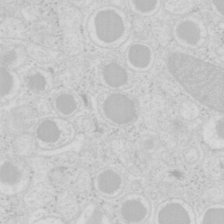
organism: Mouse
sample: Pancreas